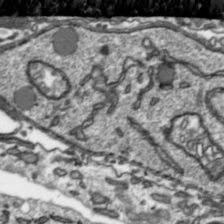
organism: Toxoplasma gondii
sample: Parasites in a vacuole inside a host cell